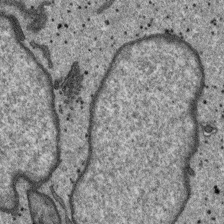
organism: Human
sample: Lung epithelial cells, uninfected (mock) control